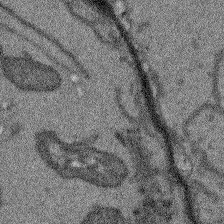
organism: Arabidopsis thaliana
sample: Root tip